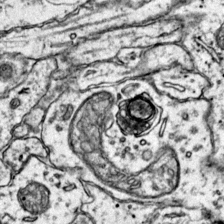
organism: Mouse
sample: Primary visual cortex